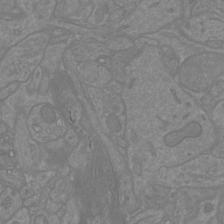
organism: Mouse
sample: Cortical neurons